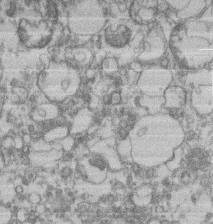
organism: Mouse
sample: T cell stromal cell synapse